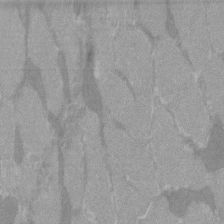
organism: C57BL Mouse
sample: Tibialis anterior muscle cell